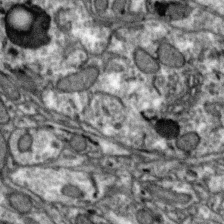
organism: Zebra finch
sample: Brain